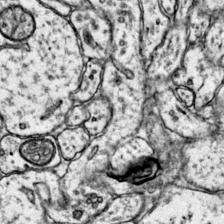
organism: Mouse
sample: Primary visual cortex